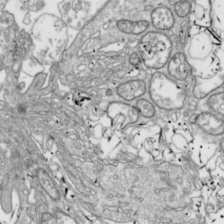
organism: Drosophila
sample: Cell division; meiosis; drosophila spermatocytes